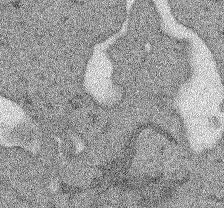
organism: Human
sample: HeLa cells